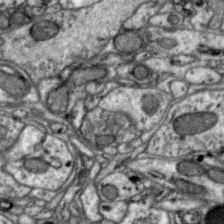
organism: Zebra finch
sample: Brain